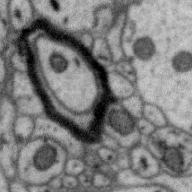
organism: Zebra finch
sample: Brain